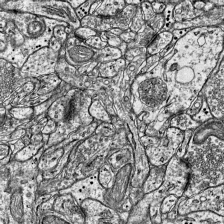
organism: Mouse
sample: Visual Cortex